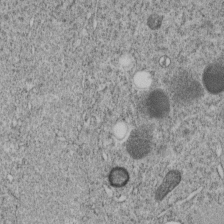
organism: C. elegans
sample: C. elegans embryo early stage